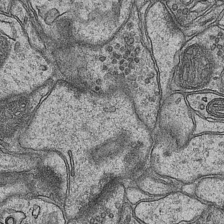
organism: Mouse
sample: CA1 Hippocampus